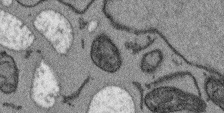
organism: Arabidopsis thaliana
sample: Root tip